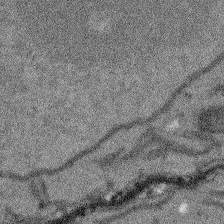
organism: Arabidopsis thaliana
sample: Root tip